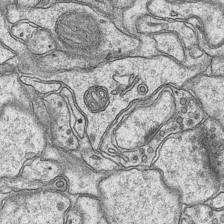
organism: Mouse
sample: CA1 Hippocampus